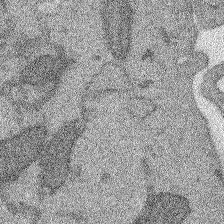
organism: Human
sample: HeLa cells